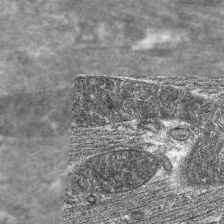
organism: C. elegans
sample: Pharynx